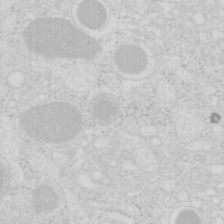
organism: Mouse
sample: Pancreas